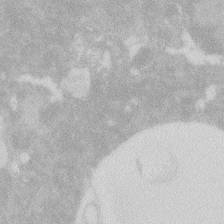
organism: Zebrafish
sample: Macrophage